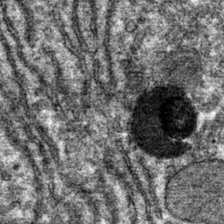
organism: Mouse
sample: Mouse hepatocytes